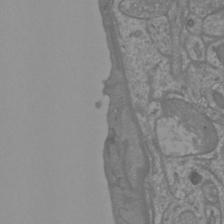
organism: Mouse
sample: Cortical neurons